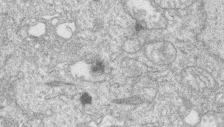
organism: Human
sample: HeLa cell HIV synapse